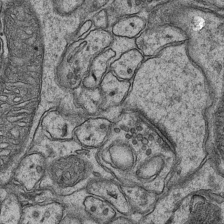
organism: Mouse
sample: CA1 Hippocampus